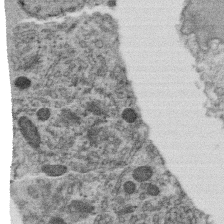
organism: C. elegans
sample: C. elegans oocyte; sperm cells